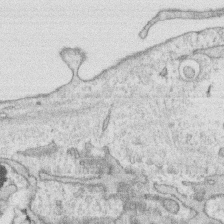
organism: Human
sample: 1205lu cells